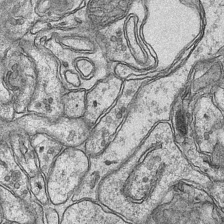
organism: Mouse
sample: CA1 Hippocampus